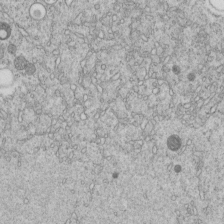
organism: C. elegans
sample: C. elegans embryo early stage